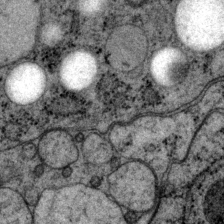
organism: P. pacificus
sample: Pharynx